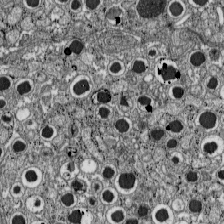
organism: C57BL Mouse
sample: Pancreatic islet